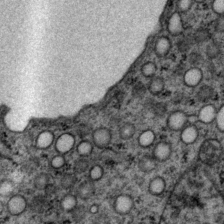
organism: P. pacificus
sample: Pharynx